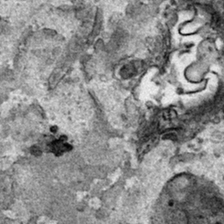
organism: Human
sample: Mitochondria in HCT116 cells